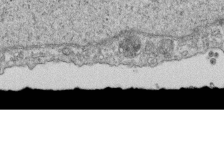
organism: Human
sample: HeLa cell HIV synapse